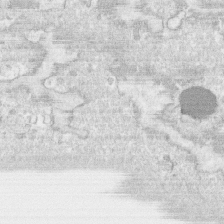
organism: Human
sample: CRL-1474